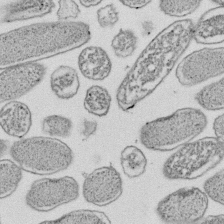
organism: E. coli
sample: Bacterial nucleoid